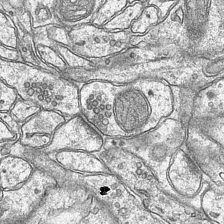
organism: Mouse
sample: CA1 Hippocampus